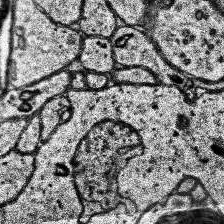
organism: Human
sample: Temporal Lobe